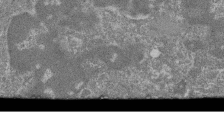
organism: Mouse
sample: Glomerulus